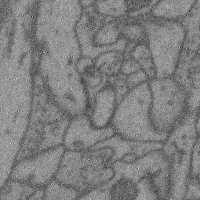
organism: Mouse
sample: Cerebral cortex